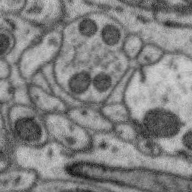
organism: Zebra finch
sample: Brain